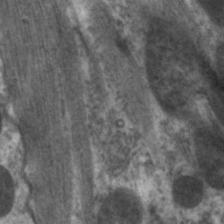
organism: C. elegans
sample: Pharynx